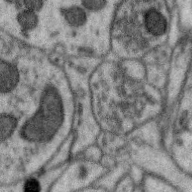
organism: Zebra finch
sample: Brain